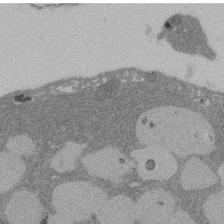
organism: Rat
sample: Salivary granule